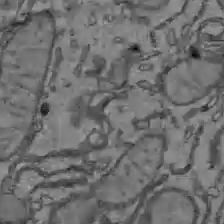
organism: C57BL Mouse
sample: Liver